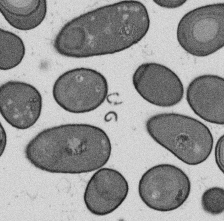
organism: B. subtilis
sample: Bacterial spore